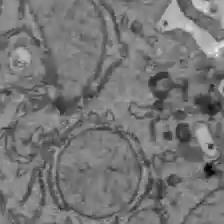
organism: C57BL Mouse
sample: Liver